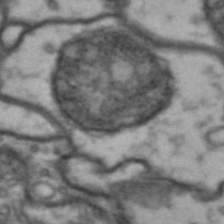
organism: Drosophila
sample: Brain